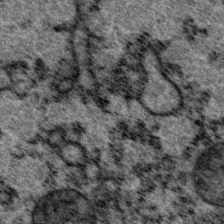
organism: P. pacificus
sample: Pharynx